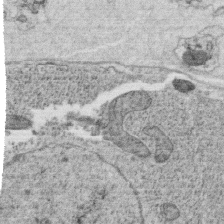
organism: C. elegans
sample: C. elegans oocyte; sperm cells